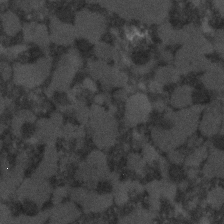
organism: C. elegans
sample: C. elegans embryo